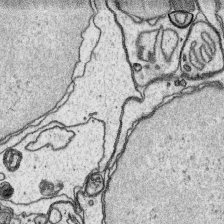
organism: Platynereis dumerilii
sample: Parapodia